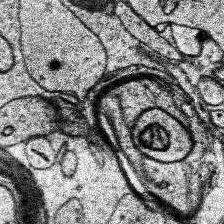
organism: Human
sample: Temporal Lobe